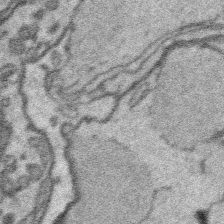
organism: Platynereis dumerilii